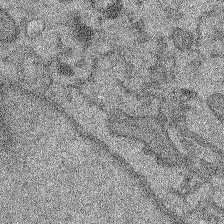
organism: Human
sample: HeLa cells